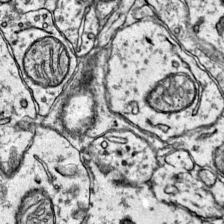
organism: Mouse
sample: Primary visual cortex